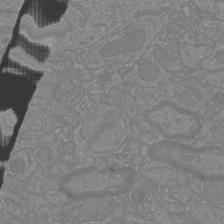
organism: Mouse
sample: Cortical neurons